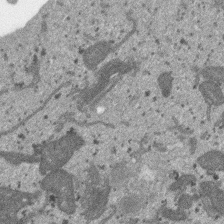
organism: Human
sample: Lung epithelial cells infected with SARS-CoV-2